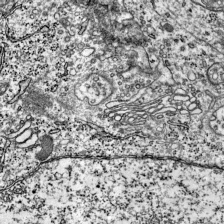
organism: Mouse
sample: Visual Cortex